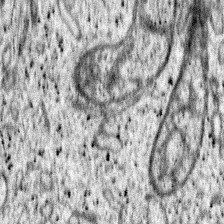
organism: Human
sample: HeLa cells